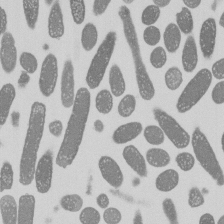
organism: E. coli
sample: Bacterial nucleoid